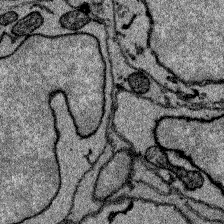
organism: Zebrafish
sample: Larval olfactory bulb